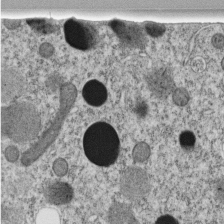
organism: C. elegans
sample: C. elegans embryo early stage